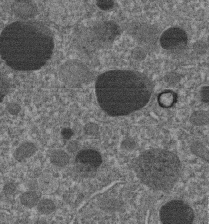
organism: C. elegans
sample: C. elegans embryo early stage